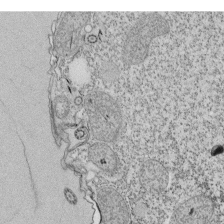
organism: Tetrahymena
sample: Cilia in tetrahymena